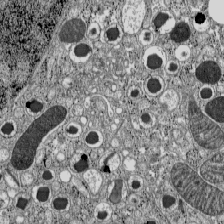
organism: C57BL Mouse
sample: Pancreatic islet